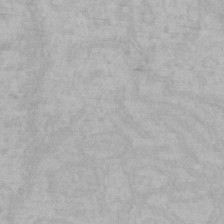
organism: Mouse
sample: Choroid plexus